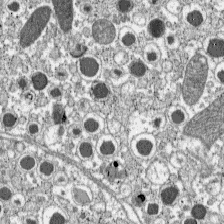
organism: C57BL Mouse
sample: Pancreatic islet